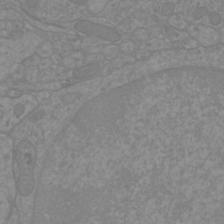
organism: Mouse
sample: Cortical neurons